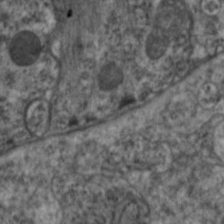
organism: C. elegans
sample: Pharynx